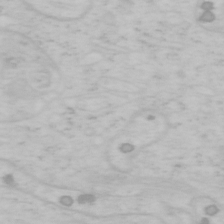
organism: Mouse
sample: OT-I killer T cells with ID8 ovarian cancer cells